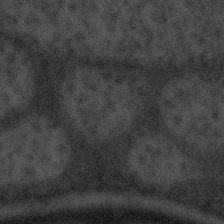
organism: Tuwongella immobilis